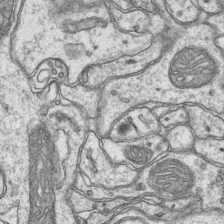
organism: Mouse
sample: CA1 Hippocampus